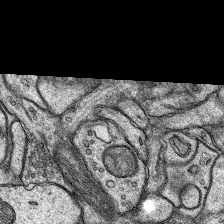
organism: Rat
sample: Hippocampus